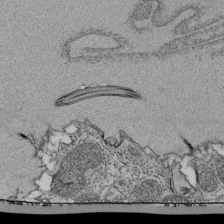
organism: Tetrahymena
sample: Cilia in tetrahymena